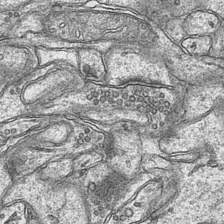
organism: Mouse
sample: CA1 Hippocampus